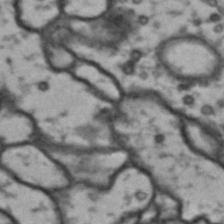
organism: Drosophila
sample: Brain